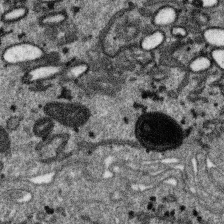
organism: Human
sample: Lung epithelial cells infected with SARS-CoV-2